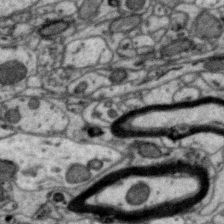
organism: Zebra finch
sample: Brain